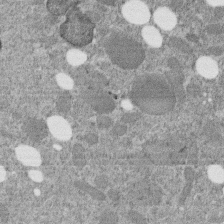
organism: C. elegans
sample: C. elegans embryo early stage